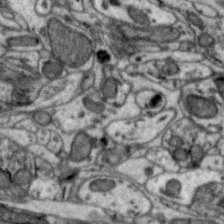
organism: Zebra finch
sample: Brain